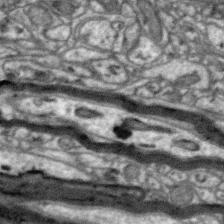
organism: Zebra finch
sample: Brain